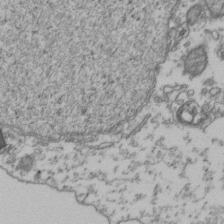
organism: Human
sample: Activated Jurkat CD4+ T cells